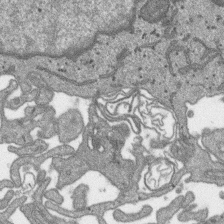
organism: Human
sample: Lung epithelial cells infected with SARS-CoV-2